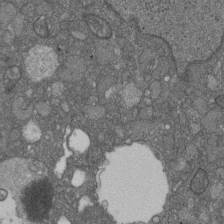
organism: Drosophila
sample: Nephrocyte